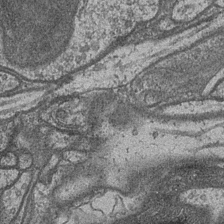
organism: Drosophila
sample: Optic medulla